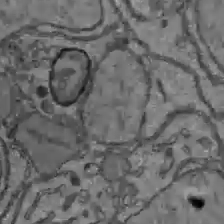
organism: C57BL Mouse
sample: Liver